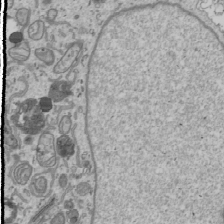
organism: Human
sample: Mitochondria in U2OS cells